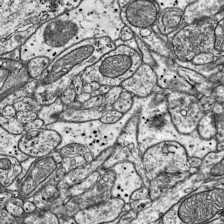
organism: Mouse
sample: Visual Cortex